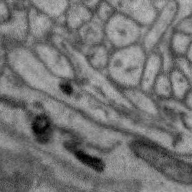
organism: Zebra finch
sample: Brain